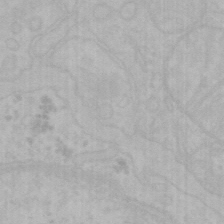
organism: Mouse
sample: Choroid plexus